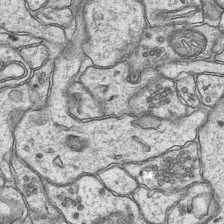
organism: Mouse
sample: CA1 Hippocampus